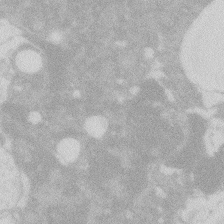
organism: Zebrafish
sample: Macrophage